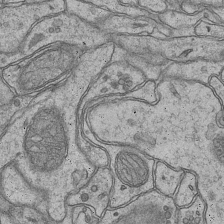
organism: Mouse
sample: CA1 Hippocampus